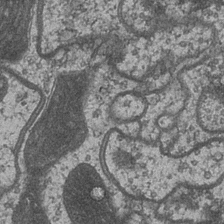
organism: Drosophila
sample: Optic medulla